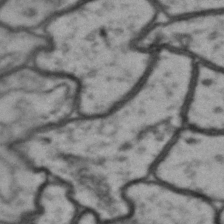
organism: Drosophila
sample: Brain